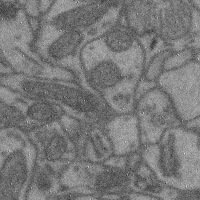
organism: Mouse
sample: Cerebral cortex